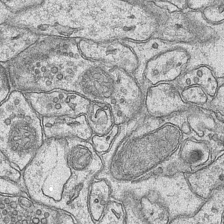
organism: Mouse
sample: CA1 Hippocampus